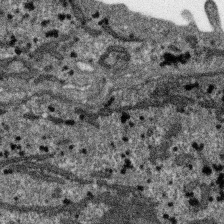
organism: Human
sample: Lung epithelial cells infected with SARS-CoV-2